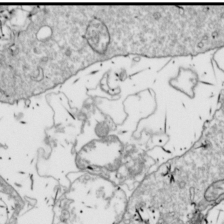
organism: Drosophila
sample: Cell division; meiosis; drosophila spermatocytes